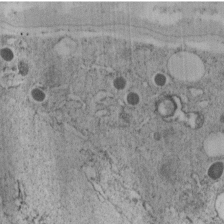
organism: C. elegans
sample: C. elegans embryo early stage